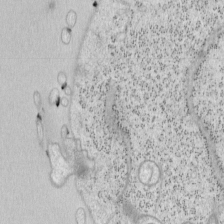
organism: Mouse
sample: OT-I killer T cells with ID8 ovarian cancer cells